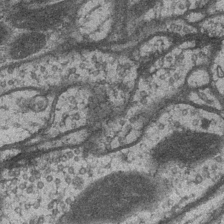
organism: Drosophila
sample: Optic medulla